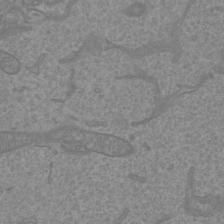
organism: Mouse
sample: Cortical neurons